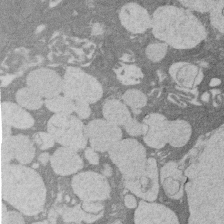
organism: Rat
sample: Salivary granule